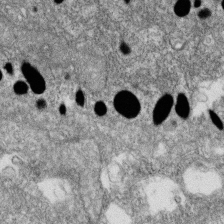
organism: Zebrafish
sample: Cilia; retinal pigment epithelium